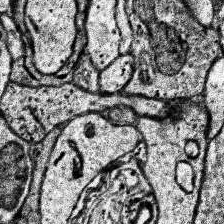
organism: Human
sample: Temporal Lobe